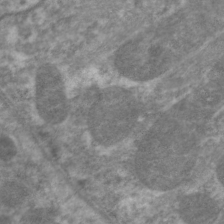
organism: C. elegans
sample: Pharynx